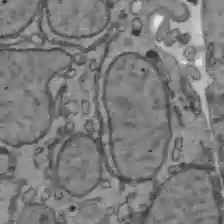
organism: C57BL Mouse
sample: Liver